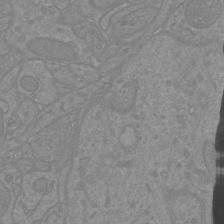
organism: Mouse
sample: Cortical neurons